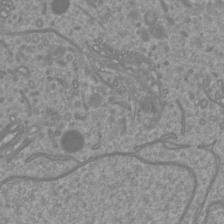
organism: Mouse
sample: Cortical neurons